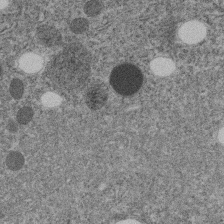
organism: C. elegans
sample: C. elegans embryo early stage